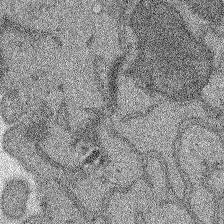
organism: Human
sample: HeLa cells